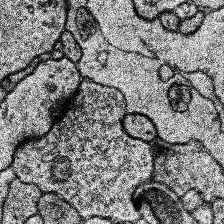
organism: Human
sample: Temporal Lobe